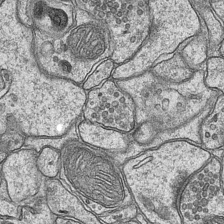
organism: Mouse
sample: CA1 Hippocampus